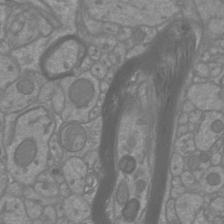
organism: Mouse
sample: Cortical neurons